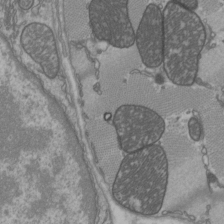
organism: C57BL Mouse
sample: Heart